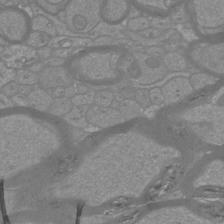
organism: Mouse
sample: Cortical neurons